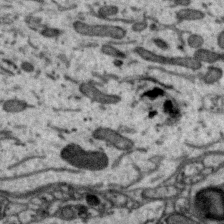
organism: Zebra finch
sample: Brain